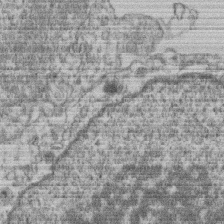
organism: Mouse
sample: T cell stromal cell synapse